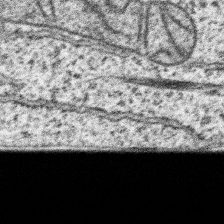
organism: Human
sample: HeLa cells